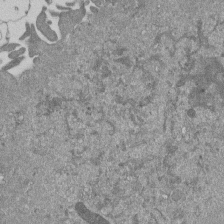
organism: Mouse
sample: ED-1 cell nuclei; centrioles